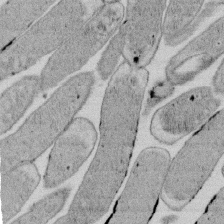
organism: E. coli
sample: Bacterial nucleoid